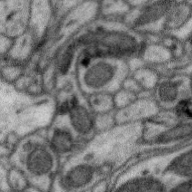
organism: Zebra finch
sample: Brain